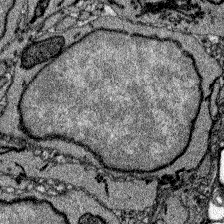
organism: Zebrafish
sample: Larval olfactory bulb